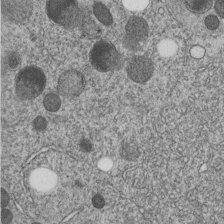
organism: C. elegans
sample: C. elegans embryo early stage